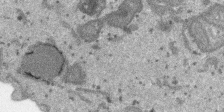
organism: Human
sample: Lung epithelial cells infected with SARS-CoV-2